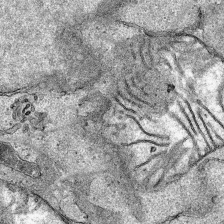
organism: Human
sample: Mitochondria in HCT116 cells